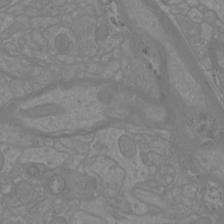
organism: Mouse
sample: Cortical neurons